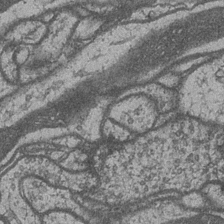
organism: Drosophila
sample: Optic medulla